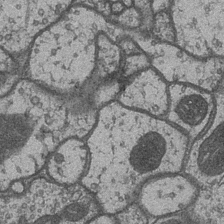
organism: Drosophila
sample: Optic medulla